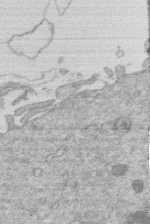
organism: Human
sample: Macrophage cells